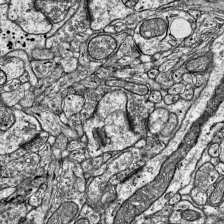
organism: Mouse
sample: Visual Cortex